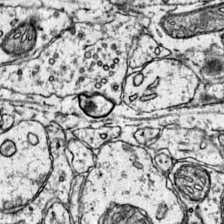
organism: Mouse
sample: Primary visual cortex